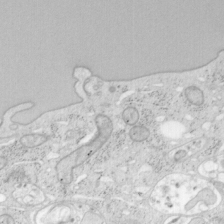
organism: Mouse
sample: OT-I killer T cells with ID8 ovarian cancer cells